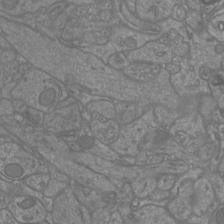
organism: Mouse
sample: Cortical neurons